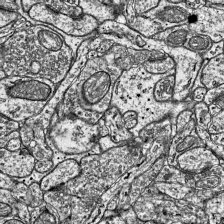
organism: Mouse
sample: Visual Cortex